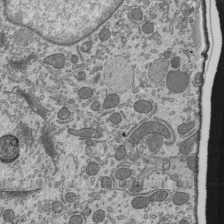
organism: Mouse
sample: Mouse epididymis efferent ductule cilia